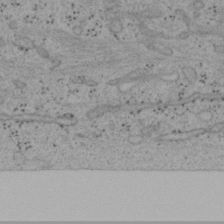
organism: Human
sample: HeLa cells